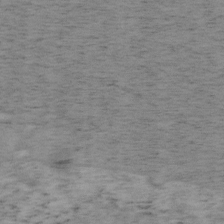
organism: Mouse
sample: OT-I killer T cells with ID8 ovarian cancer cells